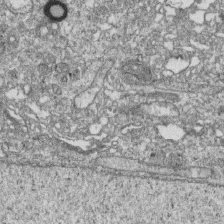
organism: Human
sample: HeLa cell HIV synapse